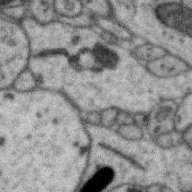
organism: Zebra finch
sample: Brain